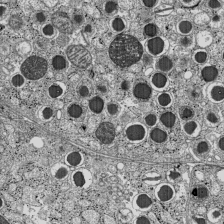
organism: C57BL Mouse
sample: Pancreatic islet